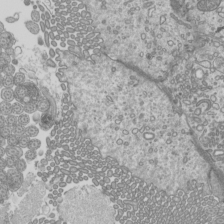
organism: Mouse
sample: Cilia; mouse epididymis